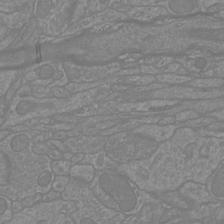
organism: Mouse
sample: Cortical neurons